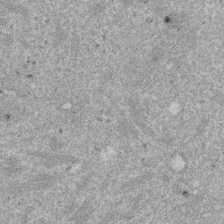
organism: Mouse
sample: Dividing mouse embryo 1 cell stage